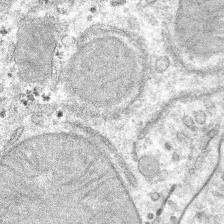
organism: Mouse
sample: Mouse hepatocytes